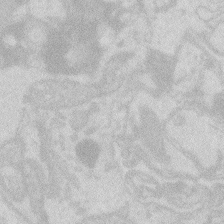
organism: Zebrafish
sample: Macrophage